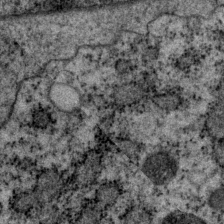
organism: P. pacificus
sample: Pharynx